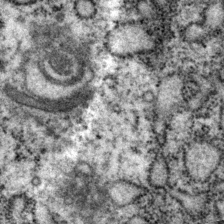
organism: P. pacificus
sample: Pharynx